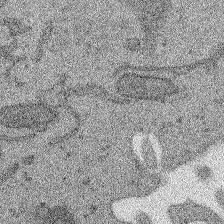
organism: Human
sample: HeLa cells